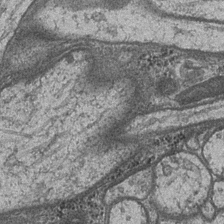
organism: Drosophila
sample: Optic medulla